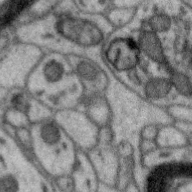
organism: Zebra finch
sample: Brain